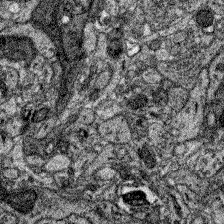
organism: Zebrafish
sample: Larval olfactory bulb